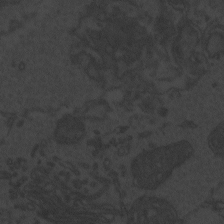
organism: Zebrafish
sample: Macrophage infected with Toxoplasma gondii